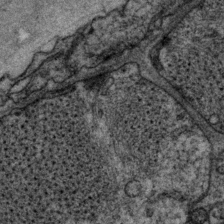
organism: P. pacificus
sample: Pharynx